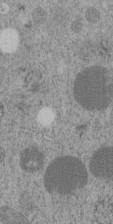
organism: C. elegans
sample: C. elegans embryo early stage